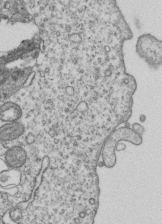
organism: Human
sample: MDA-MB-231 cells